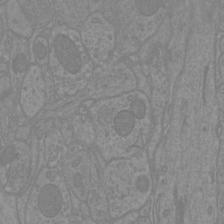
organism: Mouse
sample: Cortical neurons